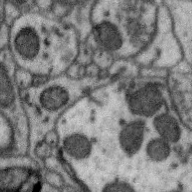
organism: Zebra finch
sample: Brain